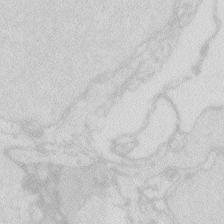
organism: Zebrafish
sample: Macrophage